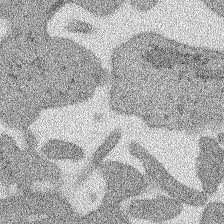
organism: Human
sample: HeLa cells